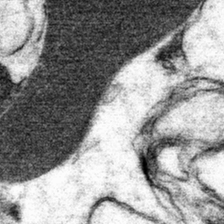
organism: Mouse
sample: Mouse hepatocytes